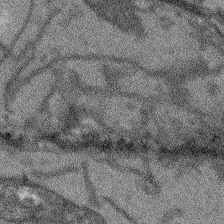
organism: Arabidopsis thaliana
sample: Root tip